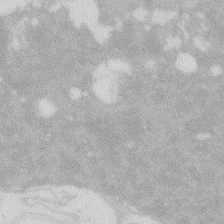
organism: Zebrafish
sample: Macrophage